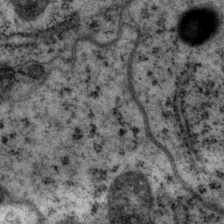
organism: P. pacificus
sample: Pharynx